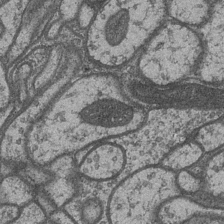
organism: Drosophila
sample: Optic medulla